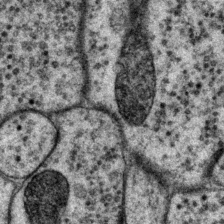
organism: P. pacificus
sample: Pharynx